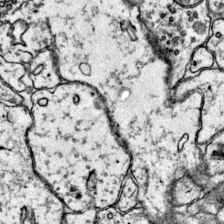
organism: Mouse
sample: Primary visual cortex